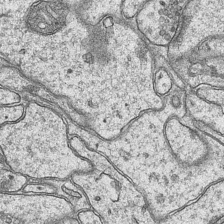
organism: Mouse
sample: CA1 Hippocampus